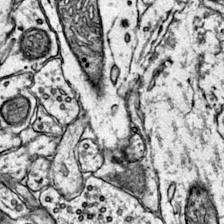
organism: Mouse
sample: Primary visual cortex